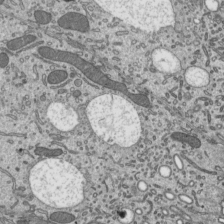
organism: Mouse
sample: Mouse epididymis efferent ductule cilia